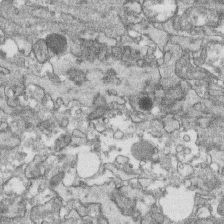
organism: Human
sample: CRL-1474